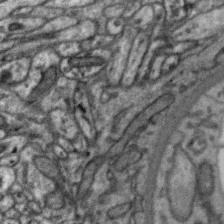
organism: Zebra finch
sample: Brain